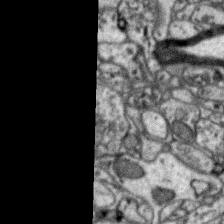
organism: Zebra finch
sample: Brain